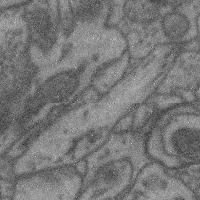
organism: Mouse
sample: Cerebral cortex